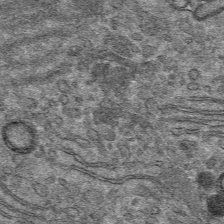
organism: Mouse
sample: Mouse hepatocytes